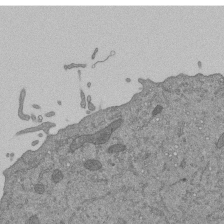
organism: Mouse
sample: ED-1 cell nuclei; centrioles